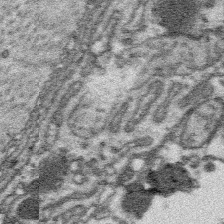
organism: Platynereis dumerilii